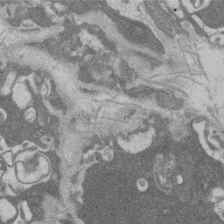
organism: Rat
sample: Salivary granule